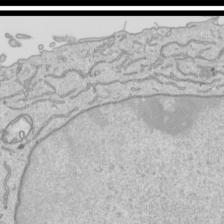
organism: Human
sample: Mitochondria in HCT116 cells